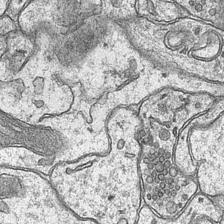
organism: Mouse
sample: CA1 Hippocampus